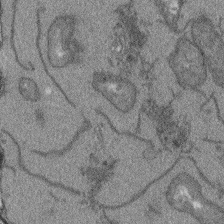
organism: Arabidopsis thaliana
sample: Root tip